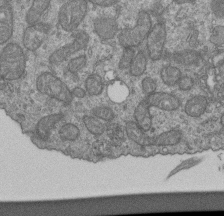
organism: Human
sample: Retinal organoid Rod and Cone cells